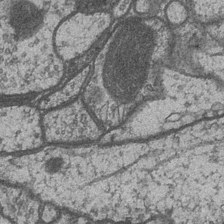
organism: Drosophila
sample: Optic medulla